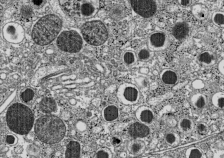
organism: C57BL Mouse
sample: Pancreatic islet